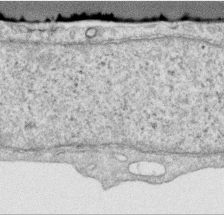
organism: Human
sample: Centriole in RPE cells